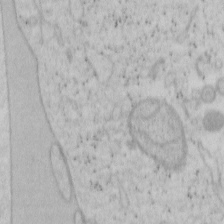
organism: Human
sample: HeLa cells